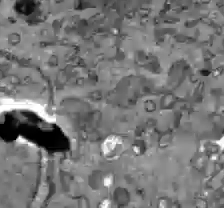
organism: C57BL Mouse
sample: Liver